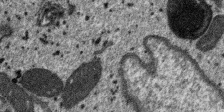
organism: Human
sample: Lung epithelial cells infected with SARS-CoV-2